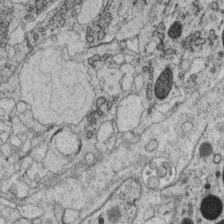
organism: C. elegans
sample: C. elegans oocyte; sperm cells